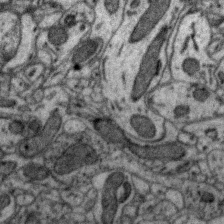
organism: Zebra finch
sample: Brain